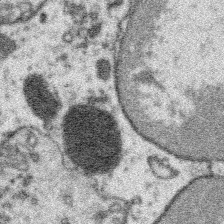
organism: Platynereis dumerilii